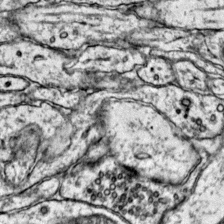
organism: Mouse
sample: Primary visual cortex